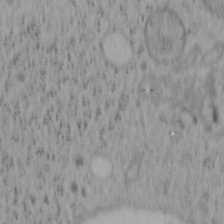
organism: Mouse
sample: OT-I killer T cells with ID8 ovarian cancer cells